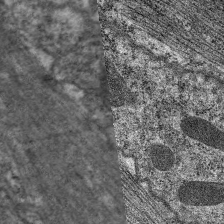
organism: C. elegans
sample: Pharynx